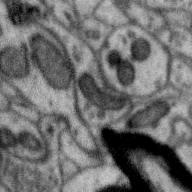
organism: Zebra finch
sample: Brain